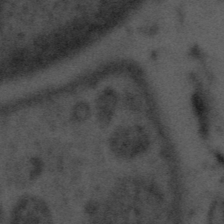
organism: Tuwongella immobilis